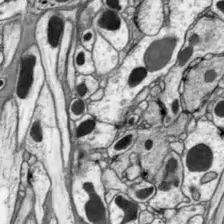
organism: Drosophila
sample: Optic lobe